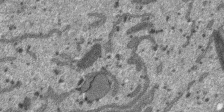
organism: Human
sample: Lung epithelial cells infected with SARS-CoV-2